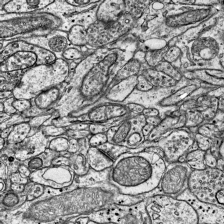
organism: Mouse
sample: Visual Cortex